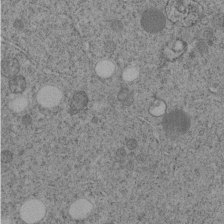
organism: C. elegans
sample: C. elegans embryo early stage